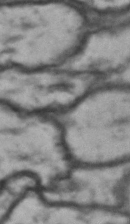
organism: Drosophila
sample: Brain